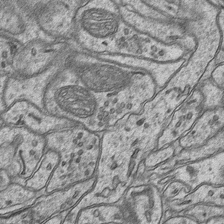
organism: Mouse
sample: CA1 Hippocampus